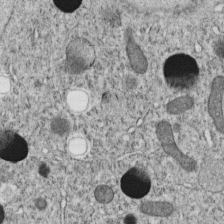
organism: C. elegans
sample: C. elegans embryo early stage